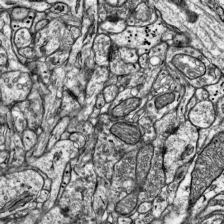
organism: Mouse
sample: Visual Cortex